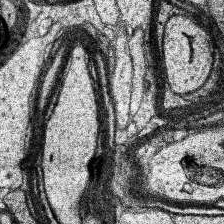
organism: Human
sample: Temporal Lobe